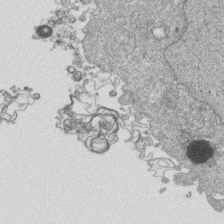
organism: Human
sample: HeLa cell HIV synapse